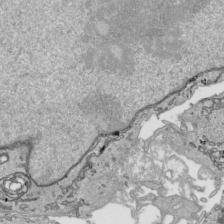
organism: Human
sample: Mitochondria in HCT116 cells